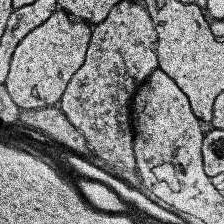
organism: Human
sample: Temporal Lobe